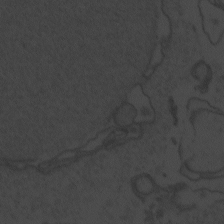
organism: Zebrafish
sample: Macrophage infected with Toxoplasma gondii